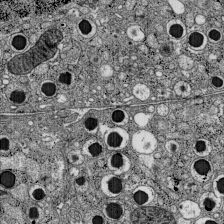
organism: C57BL Mouse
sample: Pancreatic islet